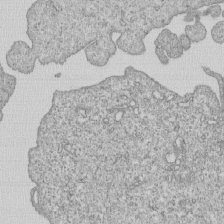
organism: Human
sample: MDA-MB-231 cells